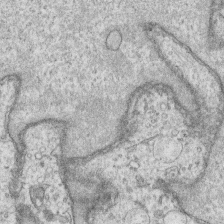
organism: Human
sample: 1205lu cells